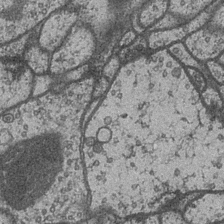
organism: Drosophila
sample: Optic medulla